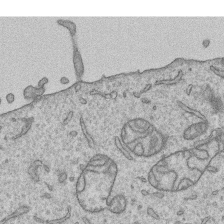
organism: Human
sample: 1205lu cells